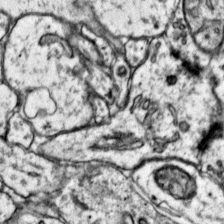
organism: Mouse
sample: Primary visual cortex